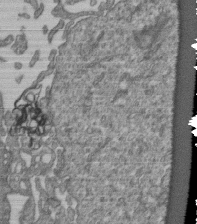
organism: Human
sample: Retinal organoid Rod and Cone cells